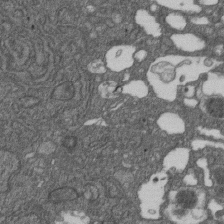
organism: Drosophila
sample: Nephrocyte